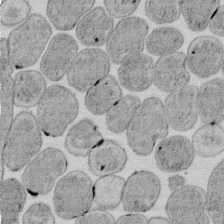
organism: E. coli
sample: Bacterial nucleoid